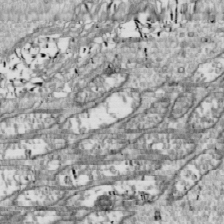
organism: Drosophila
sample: Cell division; meiosis; drosophila spermatocytes